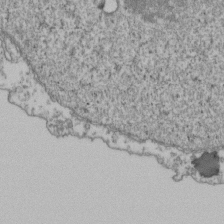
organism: Human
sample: Activated Jurkat CD4+ T cells